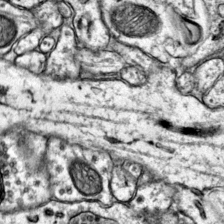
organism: Mouse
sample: Primary visual cortex